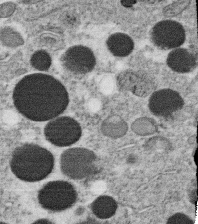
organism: C. elegans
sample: C. elegans oocyte; sperm cells